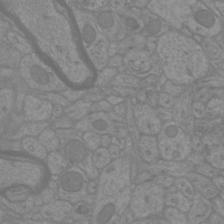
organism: Mouse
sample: Cortical neurons